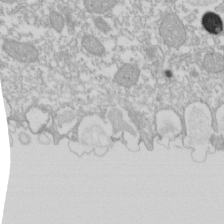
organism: Xenopus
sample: Cilia; centrioles in frog embryo cells